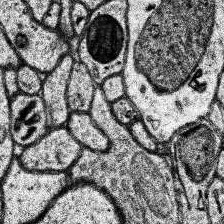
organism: Human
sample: Temporal Lobe